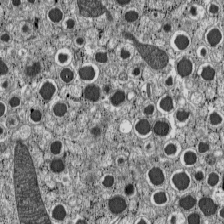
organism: C57BL Mouse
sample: Pancreatic islet